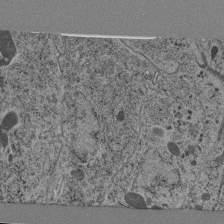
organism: C. elegans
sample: C. elegans pharynx